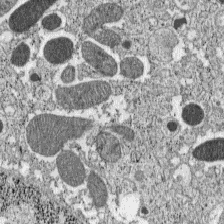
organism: C57BL Mouse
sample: Pancreatic islet